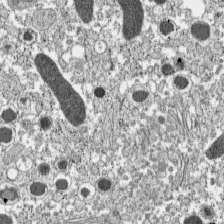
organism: C57BL Mouse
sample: Pancreatic islet